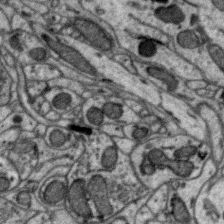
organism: Zebra finch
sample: Brain